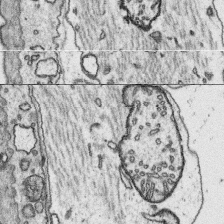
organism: Platynereis dumerilii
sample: Parapodia